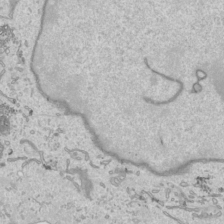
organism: Human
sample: Mitochondria in HCT116 cells